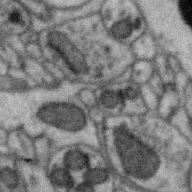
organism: Zebra finch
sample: Brain